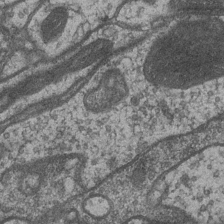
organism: Drosophila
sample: Optic medulla